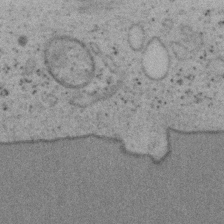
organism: Human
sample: HeLa cells